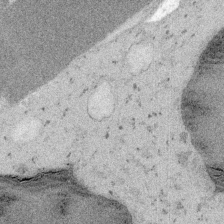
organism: Embia sp.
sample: Silk gland